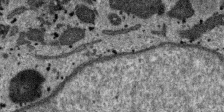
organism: Human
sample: Lung epithelial cells, uninfected (mock) control